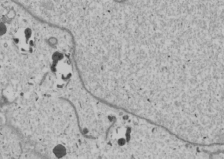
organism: Human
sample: Mitochondria in U2OS cells